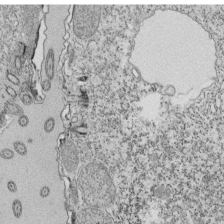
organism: Tetrahymena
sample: Cilia in tetrahymena